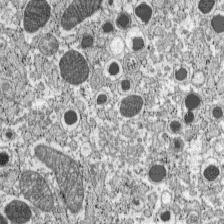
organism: C57BL Mouse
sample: Pancreatic islet